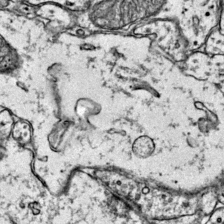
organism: Mouse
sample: Primary visual cortex